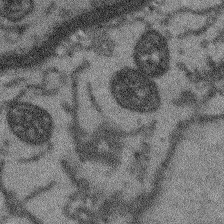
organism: Arabidopsis thaliana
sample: Root tip